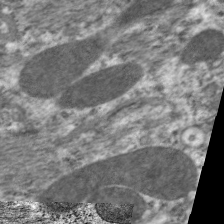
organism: C. elegans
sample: Pharynx